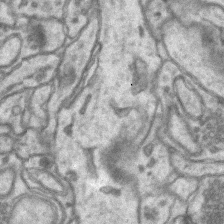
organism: Mouse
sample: CA1 Hippocampus